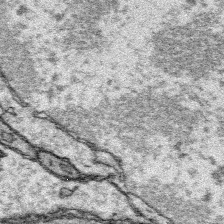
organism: Platynereis dumerilii